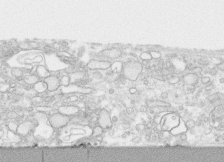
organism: Human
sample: CRL-1474